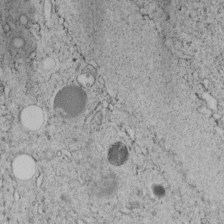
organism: C. elegans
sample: C. elegans embryo early stage